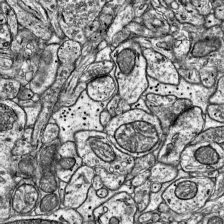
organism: Mouse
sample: Visual Cortex